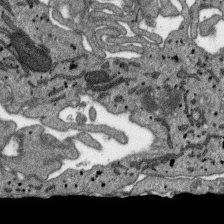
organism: Human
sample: Lung epithelial cells, uninfected (mock) control